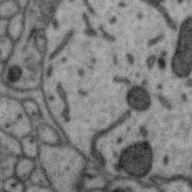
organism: Zebra finch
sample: Brain